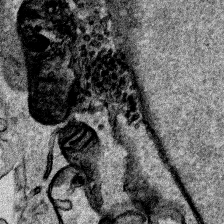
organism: Human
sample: Mitochondria in HCT116 cells